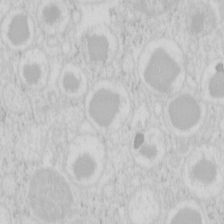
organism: Mouse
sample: Pancreas